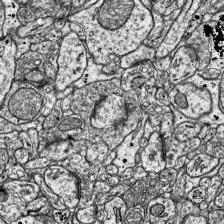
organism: Mouse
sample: Visual Cortex